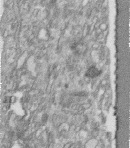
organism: Human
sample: Centriole in fibroblast cells